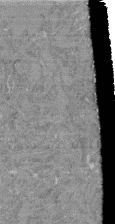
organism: Mouse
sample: Glomerulus